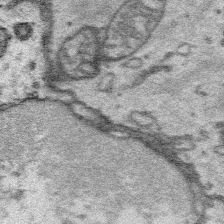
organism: Platynereis dumerilii